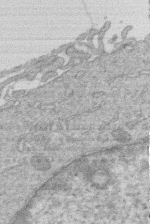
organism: Human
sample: Macrophage cells